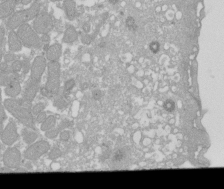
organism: Xenopus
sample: Cilia; centrioles in frog embryo cells